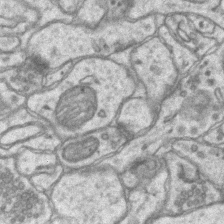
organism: Mouse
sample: CA1 Hippocampus